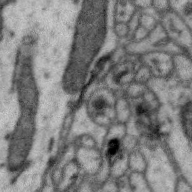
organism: Zebra finch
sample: Brain